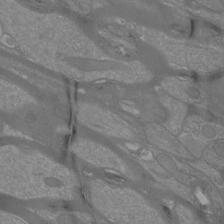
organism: Mouse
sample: Cortical neurons